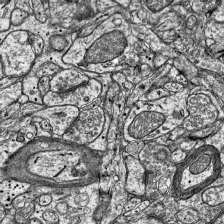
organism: Mouse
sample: Visual Cortex